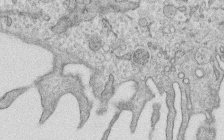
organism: Human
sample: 1205lu cells